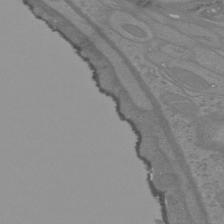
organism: Mouse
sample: Cortical neurons